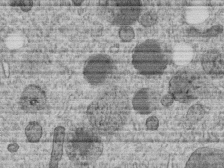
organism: C. elegans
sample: C. elegans embryo early stage